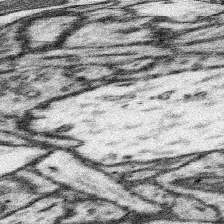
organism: Mouse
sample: Somatosensory cortex neuropil